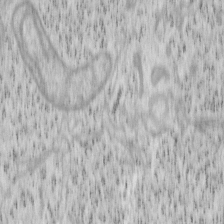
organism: Human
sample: HeLa cells